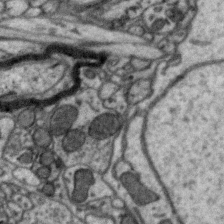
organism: Zebra finch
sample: Brain